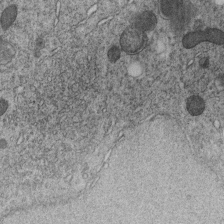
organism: C. elegans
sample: C. elegans embryo early stage